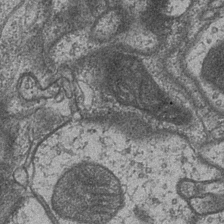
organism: Drosophila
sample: Optic medulla